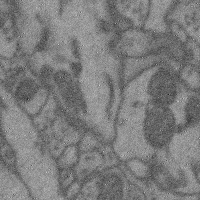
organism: Mouse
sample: Cerebral cortex